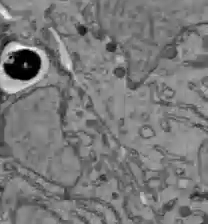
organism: C57BL Mouse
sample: Liver